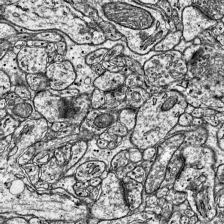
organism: Mouse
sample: Visual Cortex